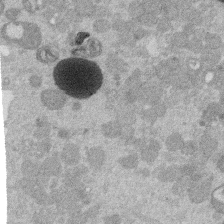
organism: Mouse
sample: Dividing mouse embryo 1 cell stage